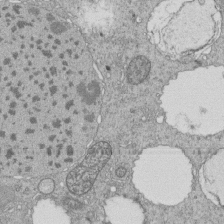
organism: Tetrahymena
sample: Cilia in tetrahymena